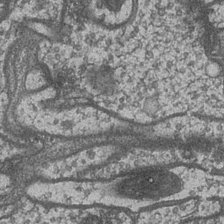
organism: Drosophila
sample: Optic medulla